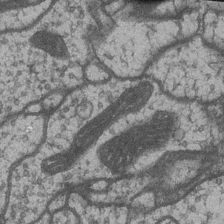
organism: Drosophila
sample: Optic medulla